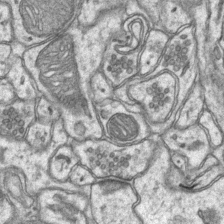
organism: Mouse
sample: CA1 Hippocampus